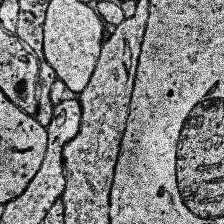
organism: Human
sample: Temporal Lobe